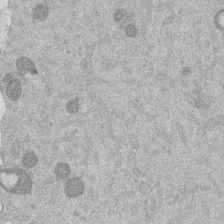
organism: Mouse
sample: Dividing mouse embryo 1 cell stage